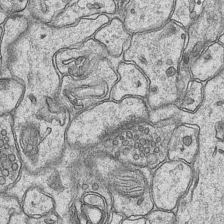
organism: Mouse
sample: CA1 Hippocampus